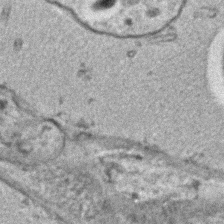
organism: C. elegans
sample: C. elegans embryo